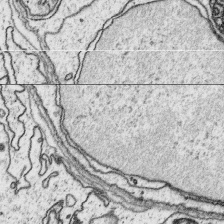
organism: Platynereis dumerilii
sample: Parapodia